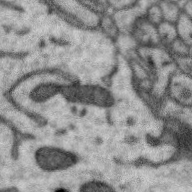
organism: Zebra finch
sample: Brain